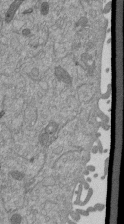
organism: Mouse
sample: ED-1 cell nuclei; centrioles